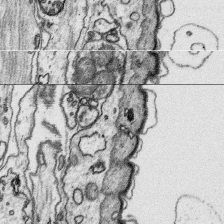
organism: Platynereis dumerilii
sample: Parapodia